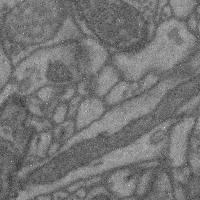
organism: Mouse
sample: Cerebral cortex